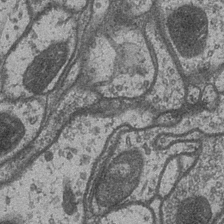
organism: Drosophila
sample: Optic medulla